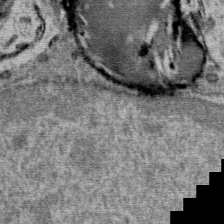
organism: Mouse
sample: Mouse Salivary gland